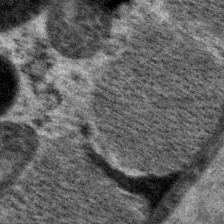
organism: P. pacificus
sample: Pharynx